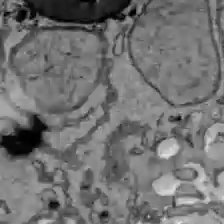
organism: C57BL Mouse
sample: Liver